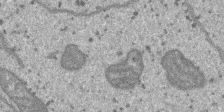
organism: Human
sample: Lung epithelial cells infected with SARS-CoV-2